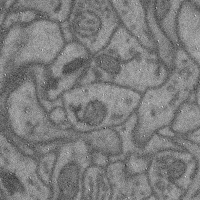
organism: Mouse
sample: Cerebral cortex